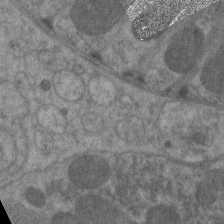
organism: C. elegans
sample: Pharynx